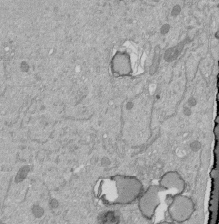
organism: Mouse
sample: ED-1 cell nuclei; centrioles